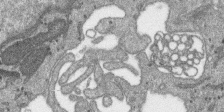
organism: Human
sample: Lung epithelial cells infected with SARS-CoV-2